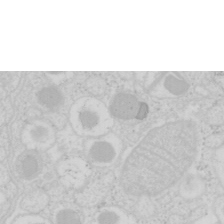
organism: Mouse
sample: Pancreas